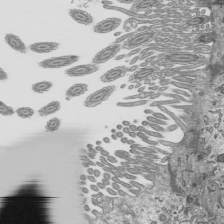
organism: Mouse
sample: Mouse epididymis efferent ductule cilia